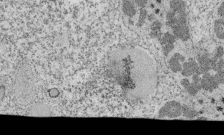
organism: Tetrahymena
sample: Cilia in tetrahymena